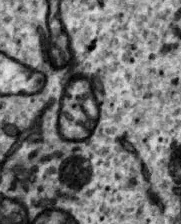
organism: Human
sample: HeLa cells